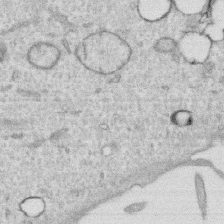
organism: Human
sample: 1205lu cells